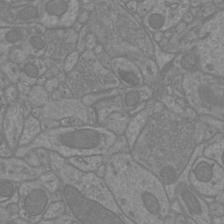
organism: Mouse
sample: Cortical neurons